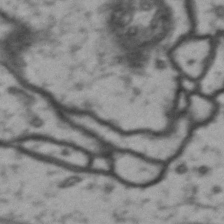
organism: Drosophila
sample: Brain